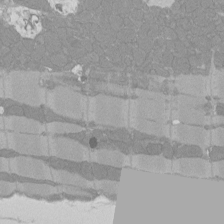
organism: Rat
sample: Left ventricle